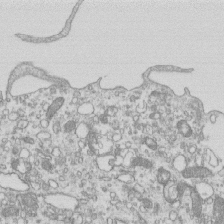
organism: Mouse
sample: Macrophages